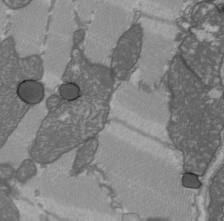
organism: C57BL Mouse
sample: Heart